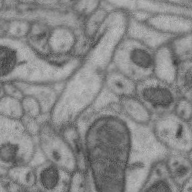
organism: Zebra finch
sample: Brain